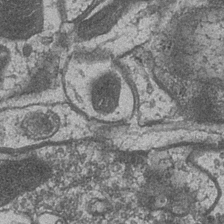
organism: Drosophila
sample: Optic medulla